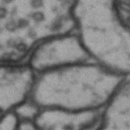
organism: Drosophila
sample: Brain